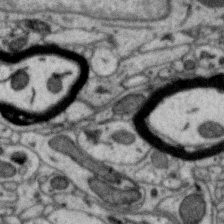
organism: Zebra finch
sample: Brain